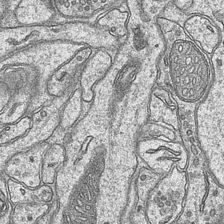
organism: Mouse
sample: CA1 Hippocampus